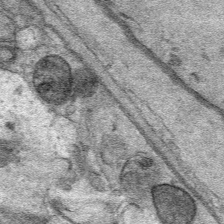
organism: Mouse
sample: Mouse Salivary gland